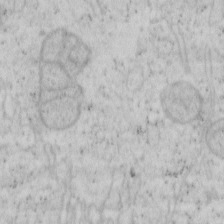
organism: Human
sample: HeLa cells